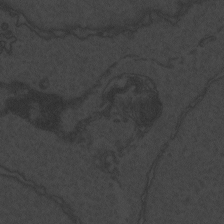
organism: Zebrafish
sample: Macrophage infected with Toxoplasma gondii